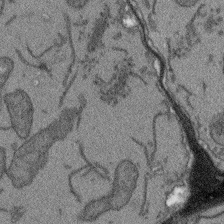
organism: Arabidopsis thaliana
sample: Root tip